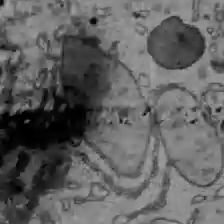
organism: C57BL Mouse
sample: Liver